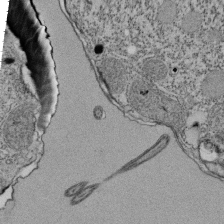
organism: Tetrahymena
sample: Cilia in tetrahymena